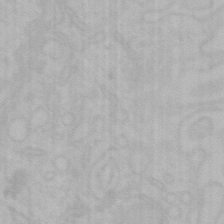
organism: Mouse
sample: Choroid plexus